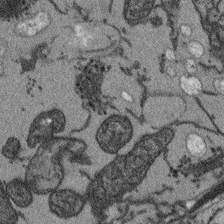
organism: Arabidopsis thaliana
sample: Root tip